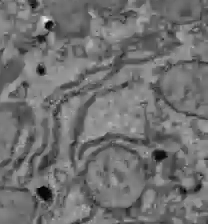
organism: C57BL Mouse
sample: Liver